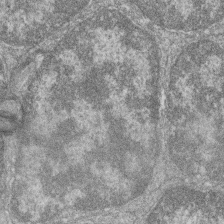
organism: Zebrafish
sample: Cilia; retinal pigment epithelium